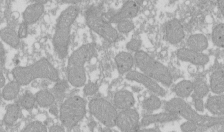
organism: Xenopus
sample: Cilia; centrioles in frog embryo cells